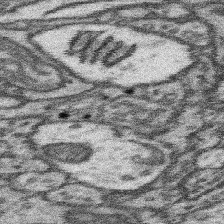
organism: Mouse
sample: Somatosensory cortex neuropil